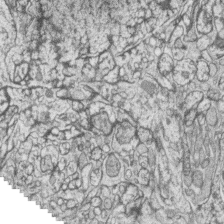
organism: Zebrafish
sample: synaptic ribbons in rod cells and cone cells